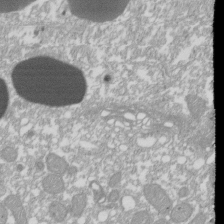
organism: Xenopus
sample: Cilia; centrioles in frog embryo cells